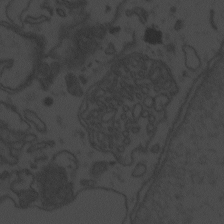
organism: Zebrafish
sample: Macrophage infected with Toxoplasma gondii